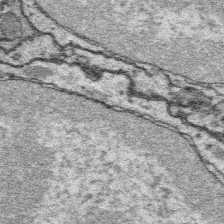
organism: Platynereis dumerilii